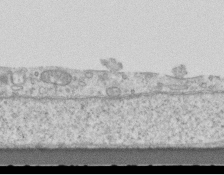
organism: Mouse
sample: Centriole in ependymal cells